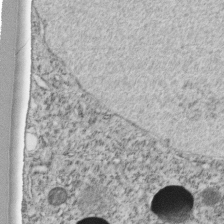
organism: C. elegans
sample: C. elegans embryo early stage